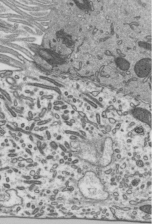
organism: Mouse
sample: Mouse epididymis efferent ductule cilia